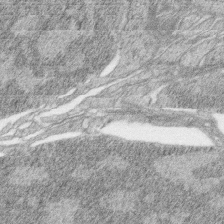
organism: Zebrafish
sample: synaptic ribbons in rod cells and cone cells